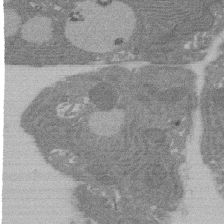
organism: Rat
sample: Salivary granule